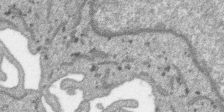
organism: Human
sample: Lung epithelial cells infected with SARS-CoV-2